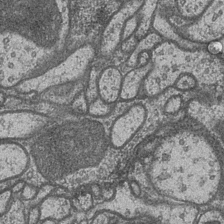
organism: Drosophila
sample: Optic medulla